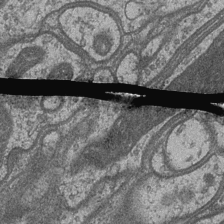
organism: Drosophila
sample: Optic medulla